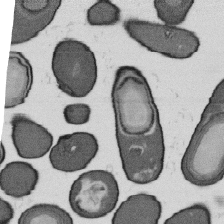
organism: B. subtilis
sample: Bacterial spore